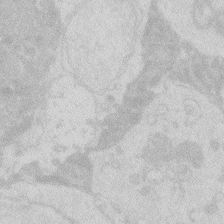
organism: Zebrafish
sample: Macrophage